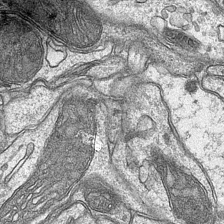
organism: Mouse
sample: CA1 Hippocampus